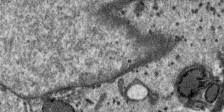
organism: Human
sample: Lung epithelial cells infected with SARS-CoV-2